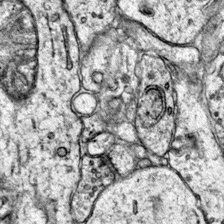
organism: Mouse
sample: Primary visual cortex